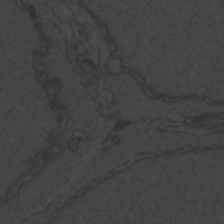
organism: Zebrafish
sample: Macrophage infected with Toxoplasma gondii